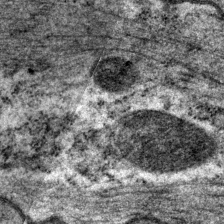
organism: P. pacificus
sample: Pharynx